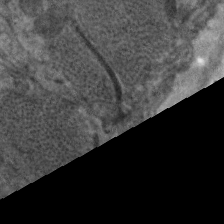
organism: C. elegans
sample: Pharynx